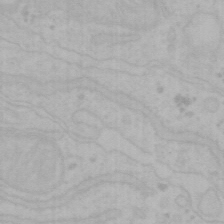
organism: Mouse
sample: Choroid plexus